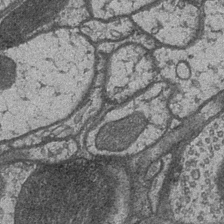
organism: Drosophila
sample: Optic medulla